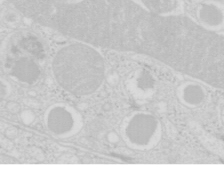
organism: Mouse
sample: Pancreas